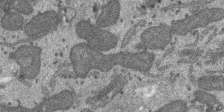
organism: Human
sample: Lung epithelial cells infected with SARS-CoV-2